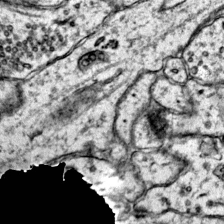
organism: Mouse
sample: Primary visual cortex